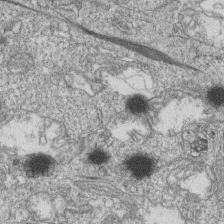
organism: Human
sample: HeLa cell HIV synapse